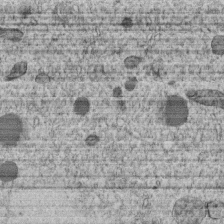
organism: C. elegans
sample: C. elegans embryo early stage